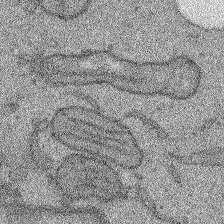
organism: Human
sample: HeLa cells